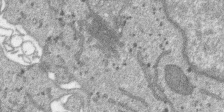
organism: Human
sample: Lung epithelial cells infected with SARS-CoV-2